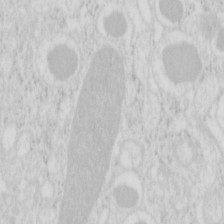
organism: Mouse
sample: Pancreas